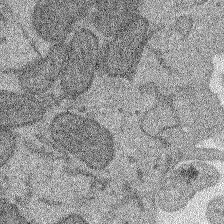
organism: Human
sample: HeLa cells